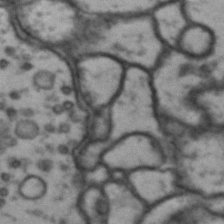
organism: Drosophila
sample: Brain